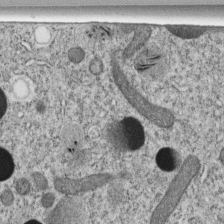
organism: C. elegans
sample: C. elegans embryo early stage